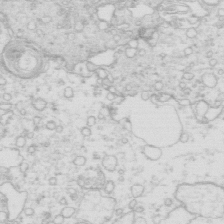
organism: Mouse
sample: Multiciliated cells